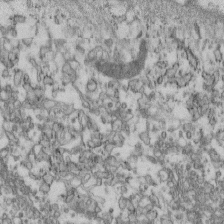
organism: Mouse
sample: Cilia; retinal pigment epithelium